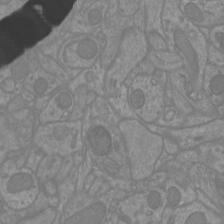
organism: Mouse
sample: Cortical neurons